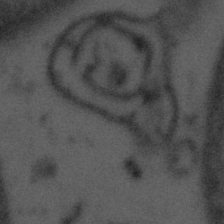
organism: Tuwongella immobilis